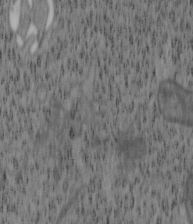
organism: Human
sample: HeLa cells